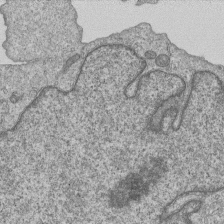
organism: Human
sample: MDA-MB-231 cells